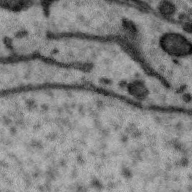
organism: Zebra finch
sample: Brain